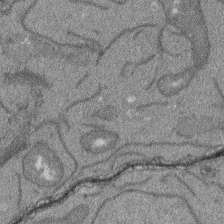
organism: Arabidopsis thaliana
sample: Root tip